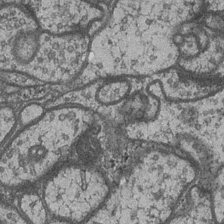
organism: Drosophila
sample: Optic medulla